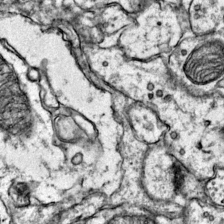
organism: Mouse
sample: Primary visual cortex